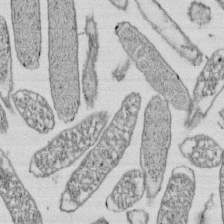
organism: E. coli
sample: Bacterial nucleoid